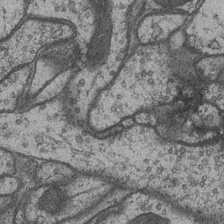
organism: Drosophila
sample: Optic medulla